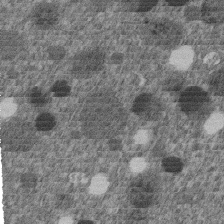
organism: C. elegans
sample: C. elegans embryo early stage